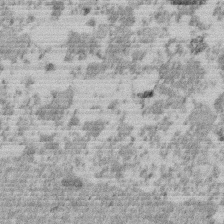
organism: Mouse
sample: Dividing mouse embryo 1 cell stage